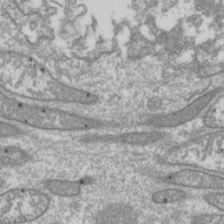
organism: Drosophila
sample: Cell division; meiosis; drosophila spermatocytes